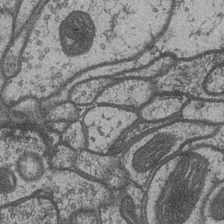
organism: Drosophila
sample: Optic medulla